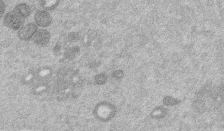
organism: Mouse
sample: Dividing mouse embryo 1 cell stage